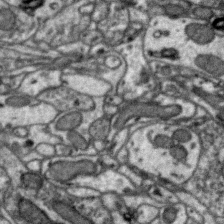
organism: Zebra finch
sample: Brain